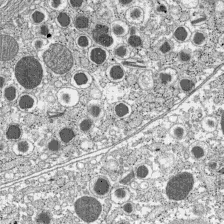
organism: C57BL Mouse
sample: Pancreatic islet